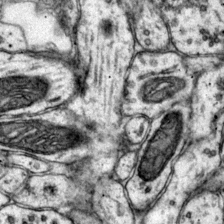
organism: Mouse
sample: Primary visual cortex